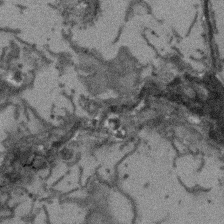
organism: Arabidopsis thaliana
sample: Root tip